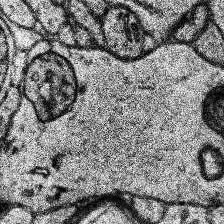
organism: Human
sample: Temporal Lobe